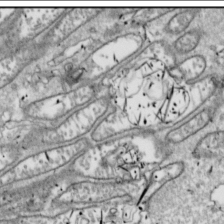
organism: Drosophila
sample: Cell division; meiosis; drosophila spermatocytes